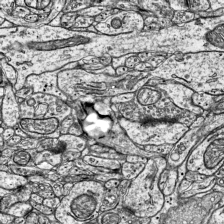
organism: Mouse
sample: Visual Cortex